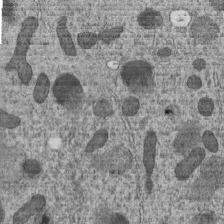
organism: C. elegans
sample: C. elegans embryo early stage